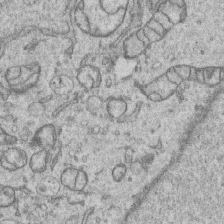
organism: Human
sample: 1205lu cells